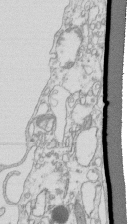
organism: Mouse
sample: Macrophages